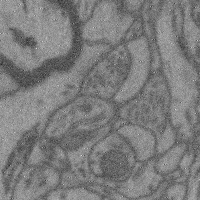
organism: Mouse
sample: Cerebral cortex